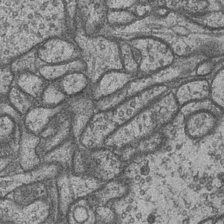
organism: Drosophila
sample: Optic medulla